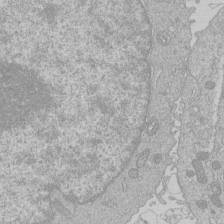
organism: Human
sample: Macrophage cells